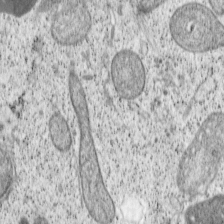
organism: African green monkey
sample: COS-7 cells